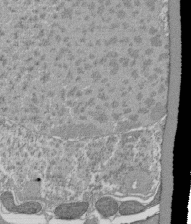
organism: Tetrahymena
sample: Cilia in tetrahymena